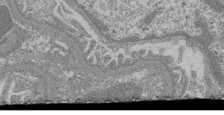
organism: Mouse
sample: Glomerulus